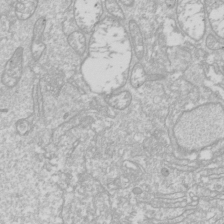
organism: Drosophila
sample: Cell division; meiosis; drosophila spermatocytes